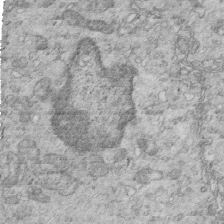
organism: Mouse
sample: Multiciliated cells